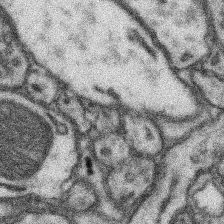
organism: Mouse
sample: Somatosensory cortex neuropil